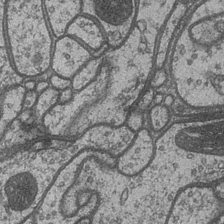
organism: Drosophila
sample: Optic medulla